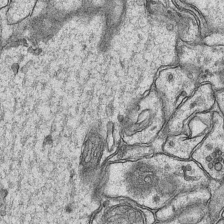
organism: Mouse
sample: CA1 Hippocampus